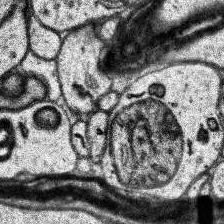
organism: Human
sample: Temporal Lobe